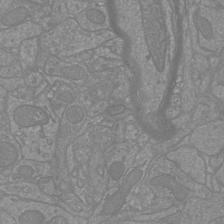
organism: Mouse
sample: Cortical neurons